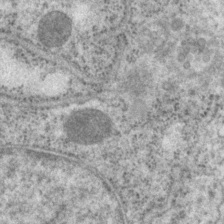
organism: P. pacificus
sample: Pharynx